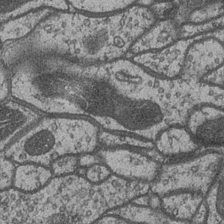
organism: Drosophila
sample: Optic medulla